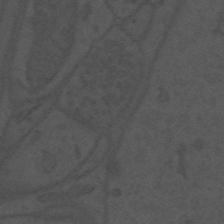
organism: Mouse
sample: Suprachiasmatic nucleus